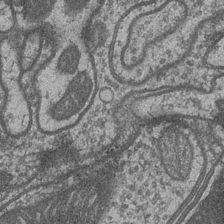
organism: Drosophila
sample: Optic medulla